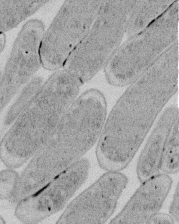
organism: E. coli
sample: Bacterial nucleoid